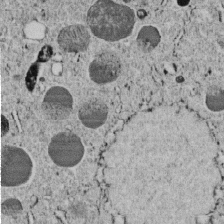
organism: C. elegans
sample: C. elegans embryo early stage